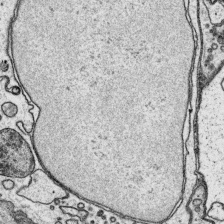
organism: Platynereis dumerilii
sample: Parapodia